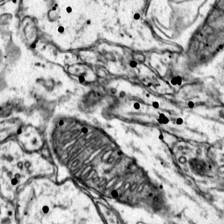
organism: Mouse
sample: Primary visual cortex